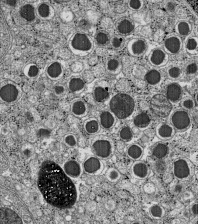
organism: C57BL Mouse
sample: Pancreatic islet